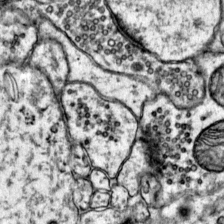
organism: Mouse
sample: Primary visual cortex